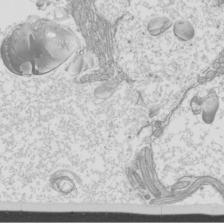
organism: Mouse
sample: Cilia; mouse epididymis